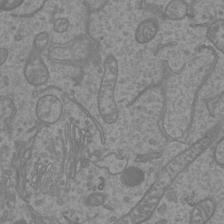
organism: Mouse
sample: Cortical neurons